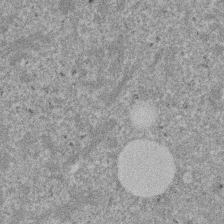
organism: Mouse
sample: Dividing mouse embryo 1 cell stage